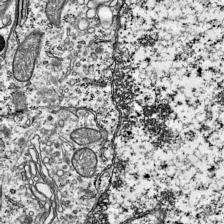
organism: Mouse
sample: Visual Cortex